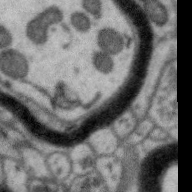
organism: Zebra finch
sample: Brain